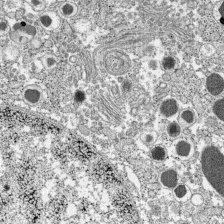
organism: C57BL Mouse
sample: Pancreatic islet